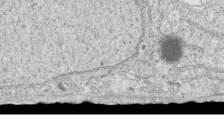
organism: Human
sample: HeLa cell HIV synapse